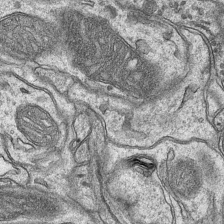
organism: Mouse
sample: CA1 Hippocampus